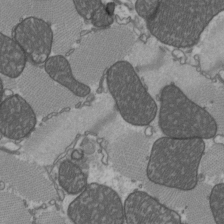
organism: C57BL Mouse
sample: Heart